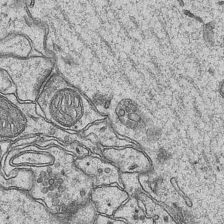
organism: Mouse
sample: CA1 Hippocampus